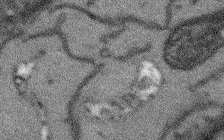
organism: Arabidopsis thaliana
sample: Root tip